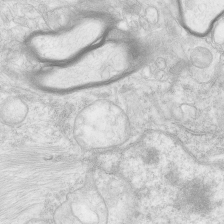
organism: Human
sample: Neocortex